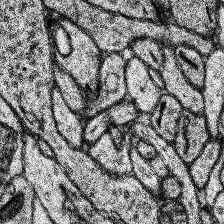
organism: Human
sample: Temporal Lobe